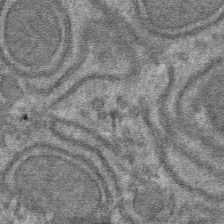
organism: Mouse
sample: Mouse hepatocytes